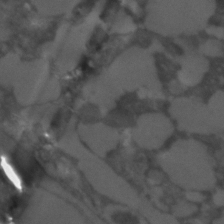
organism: C. elegans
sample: C. elegans embryo